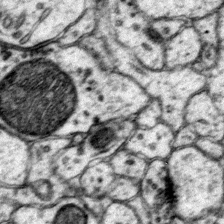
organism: Mouse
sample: Primary visual cortex